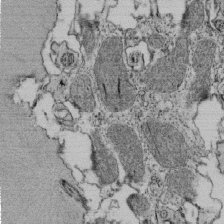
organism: Tetrahymena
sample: Cilia in tetrahymena